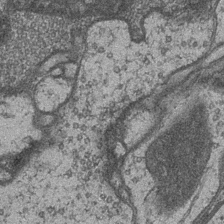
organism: Drosophila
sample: Optic medulla